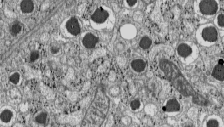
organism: C57BL Mouse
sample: Pancreatic islet